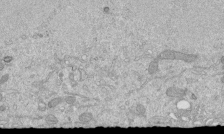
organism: Mouse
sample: ED-1 cell nuclei; centrioles